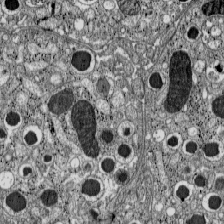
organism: C57BL Mouse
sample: Pancreatic islet